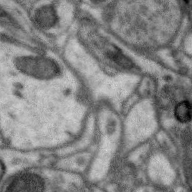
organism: Zebra finch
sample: Brain